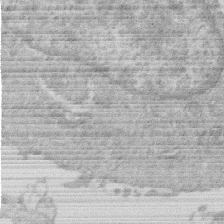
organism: Human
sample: Macrophage cells